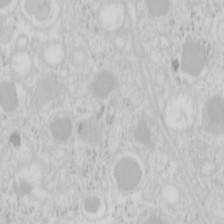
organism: Mouse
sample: Pancreas